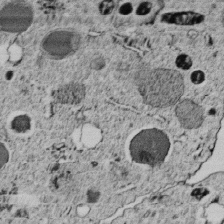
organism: C. elegans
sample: C. elegans embryo early stage